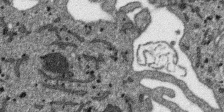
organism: Human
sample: Lung epithelial cells infected with SARS-CoV-2